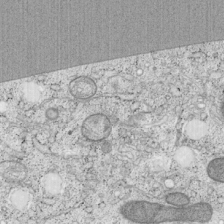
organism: African green monkey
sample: COS-7 cells